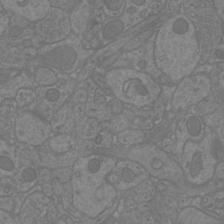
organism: Mouse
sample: Cortical neurons